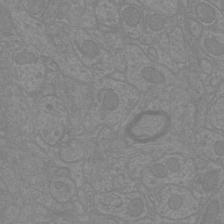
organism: Mouse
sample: Cortical neurons